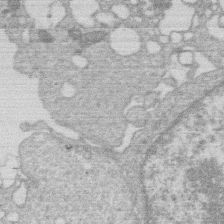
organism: Human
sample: Macrophage cells